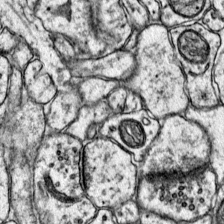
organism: Mouse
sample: Primary visual cortex